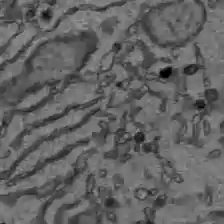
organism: C57BL Mouse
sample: Liver